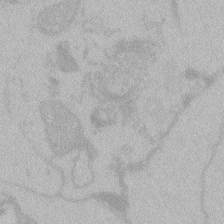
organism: Zebrafish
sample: Macrophage infected with Toxoplasma gondii